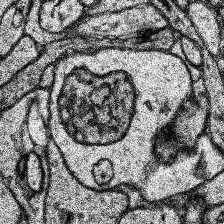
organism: Human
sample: Temporal Lobe